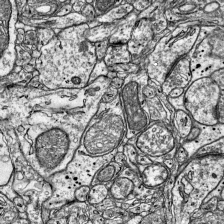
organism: Mouse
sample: Visual Cortex